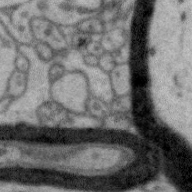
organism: Zebra finch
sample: Brain